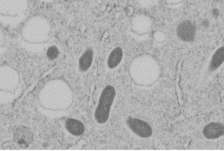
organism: C. elegans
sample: C. elegans embryo early stage